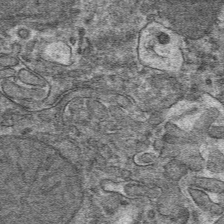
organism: Mouse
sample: Mouse hepatocytes